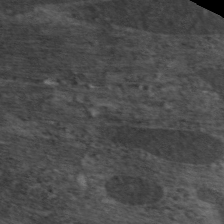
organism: C. elegans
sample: Pharynx